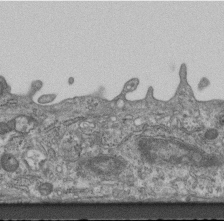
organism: Mouse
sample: Centriole in ependymal cells